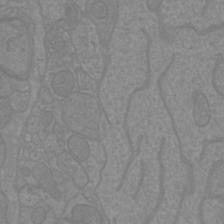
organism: Mouse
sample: Cortical neurons